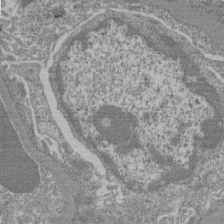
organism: Mouse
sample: Glomerulus